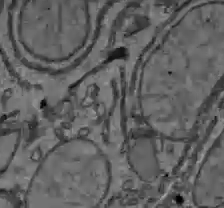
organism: C57BL Mouse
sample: Liver